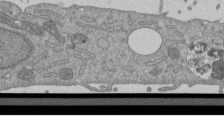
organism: Mouse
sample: ED-1 cell nuclei; centrioles